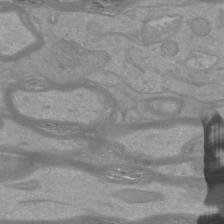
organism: Mouse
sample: Cortical neurons